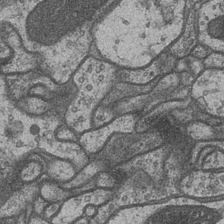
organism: Drosophila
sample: Optic medulla